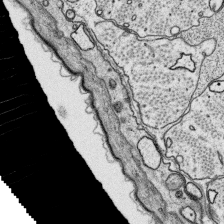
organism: Platynereis dumerilii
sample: Parapodia